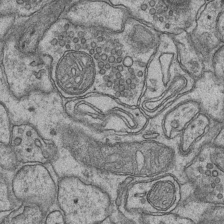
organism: Mouse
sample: CA1 Hippocampus